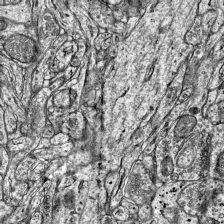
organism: Mouse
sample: Visual Cortex